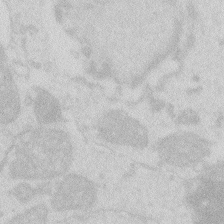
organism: Zebrafish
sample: Macrophage